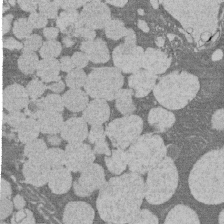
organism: Rat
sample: Salivary granule